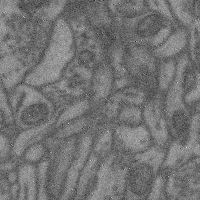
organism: Mouse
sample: Cerebral cortex